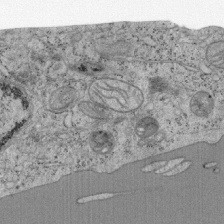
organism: Human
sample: HeLa cells